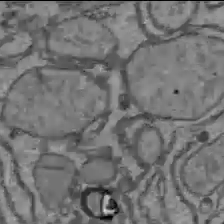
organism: C57BL Mouse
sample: Liver